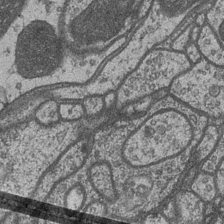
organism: Drosophila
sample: Optic medulla